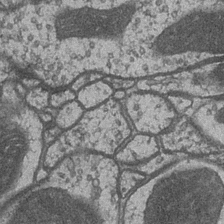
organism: Drosophila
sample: Optic medulla